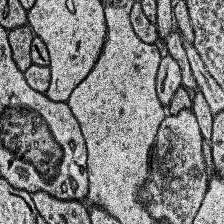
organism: Human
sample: Temporal Lobe